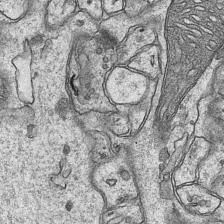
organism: Mouse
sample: CA1 Hippocampus